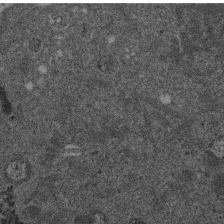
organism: Mouse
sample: Dividing mouse embryo 1 cell stage